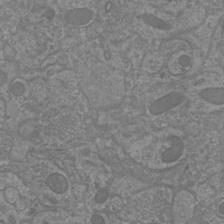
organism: Mouse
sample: Cortical neurons